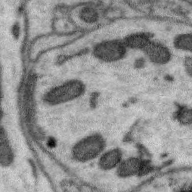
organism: Zebra finch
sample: Brain